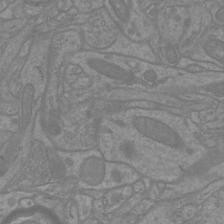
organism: Mouse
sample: Cortical neurons